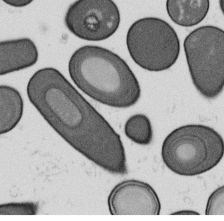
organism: B. subtilis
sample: Bacterial spore